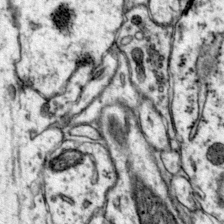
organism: Mouse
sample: Primary visual cortex